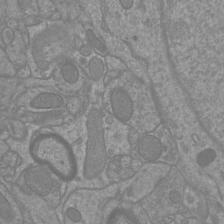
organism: Mouse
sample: Cortical neurons